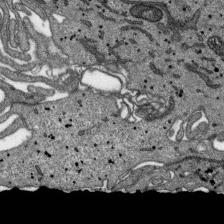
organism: Human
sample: Lung epithelial cells, uninfected (mock) control